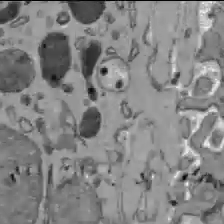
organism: C57BL Mouse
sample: Liver